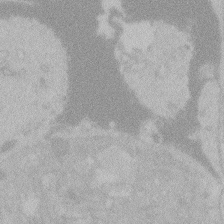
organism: Zebrafish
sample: Macrophage infected with Toxoplasma gondii